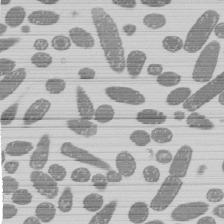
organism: E. coli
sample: Bacterial nucleoid